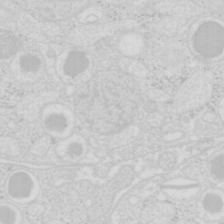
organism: Mouse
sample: Pancreas